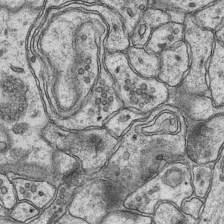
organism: Mouse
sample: CA1 Hippocampus